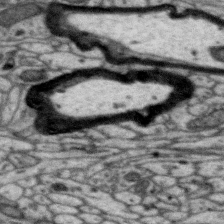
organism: Zebra finch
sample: Brain